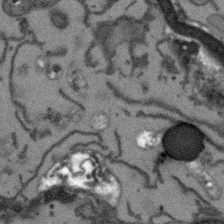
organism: Arabidopsis thaliana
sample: Root tip